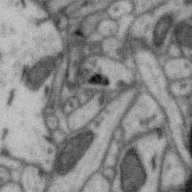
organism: Zebra finch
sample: Brain